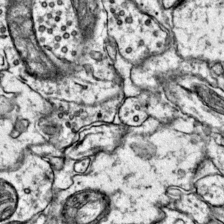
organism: Mouse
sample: Primary visual cortex